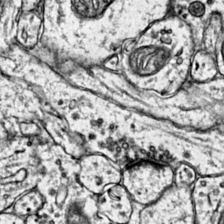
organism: Mouse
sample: Primary visual cortex